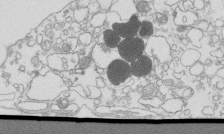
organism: Mouse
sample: Macrophages